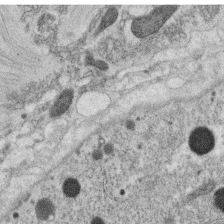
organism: C. elegans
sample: C. elegans oocyte; sperm cells